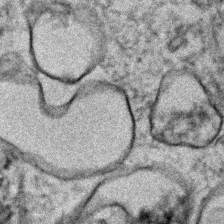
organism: Human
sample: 1205lu cells